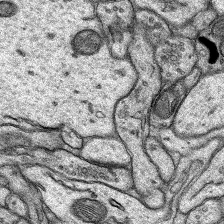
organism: Rat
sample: Hippocampus